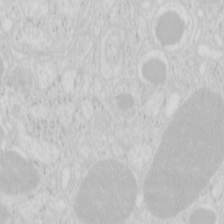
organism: Mouse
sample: Pancreas